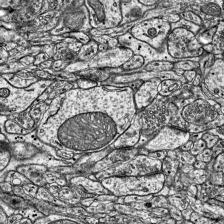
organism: Mouse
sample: Visual Cortex